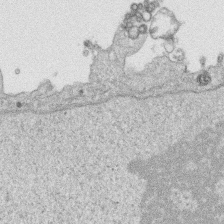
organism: Human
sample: HeLa cell HIV synapse